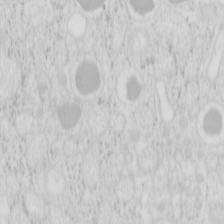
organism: Mouse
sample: Pancreas